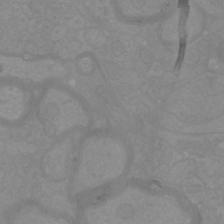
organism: Mouse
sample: Cortical neurons